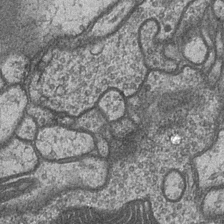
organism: Drosophila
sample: Optic medulla